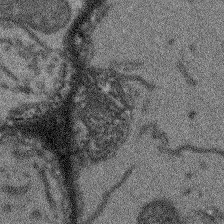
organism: Arabidopsis thaliana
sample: Root tip